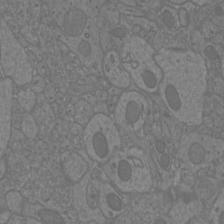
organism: Mouse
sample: Cortical neurons